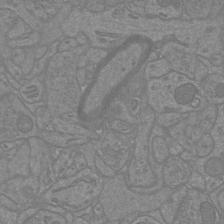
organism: Mouse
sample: Cortical neurons